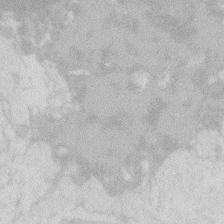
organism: Zebrafish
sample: Macrophage